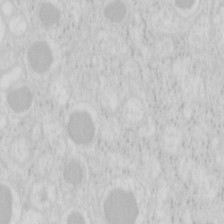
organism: Mouse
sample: Pancreas